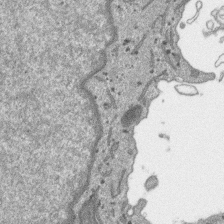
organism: Human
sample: Lung epithelial cells infected with SARS-CoV-2